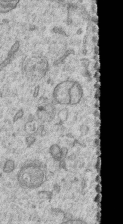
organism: Human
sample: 1205lu cells